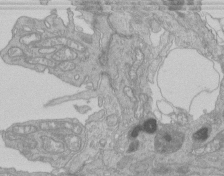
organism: Human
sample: Retinal organoid Rod and Cone cells